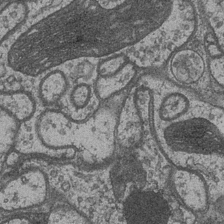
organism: Drosophila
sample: Optic medulla